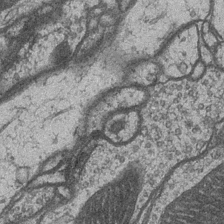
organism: Drosophila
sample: Optic medulla